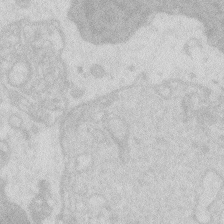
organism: Zebrafish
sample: Macrophage